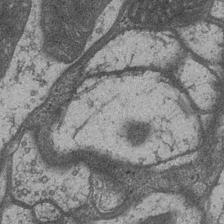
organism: Drosophila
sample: Optic medulla